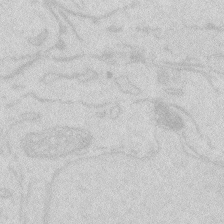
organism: Zebrafish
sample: Macrophage